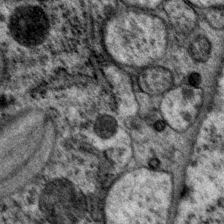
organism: P. pacificus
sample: Pharynx